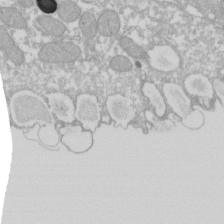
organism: Xenopus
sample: Cilia; centrioles in frog embryo cells